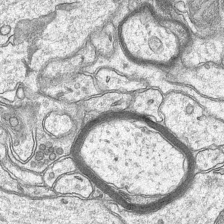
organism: Mouse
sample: CA1 Hippocampus